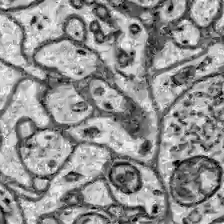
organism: Zebrafish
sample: Brain